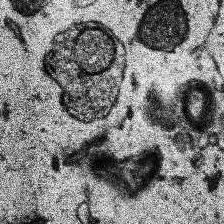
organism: Human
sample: Temporal Lobe